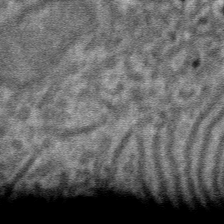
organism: Mouse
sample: Mouse hepatocytes